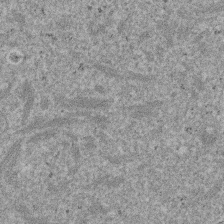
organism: Mouse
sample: Dividing mouse embryo 1 cell stage